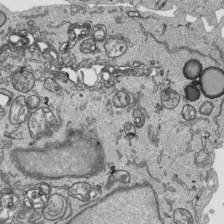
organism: Human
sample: Mitochondria in HCT116 cells